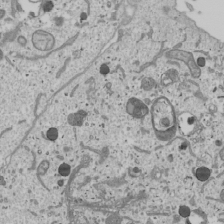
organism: Human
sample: Mitochondria in U2OS cells